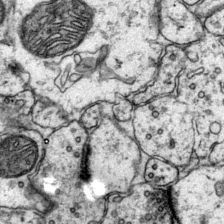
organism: Mouse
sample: Primary visual cortex